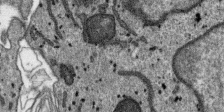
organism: Human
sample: Lung epithelial cells, uninfected (mock) control